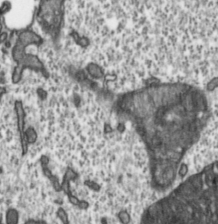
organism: Toxoplasma gondii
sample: Parasites in a vacuole inside a host cell